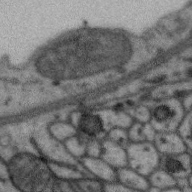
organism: Zebra finch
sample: Brain